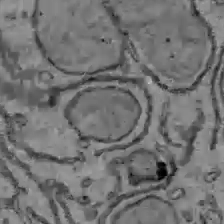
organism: C57BL Mouse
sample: Liver